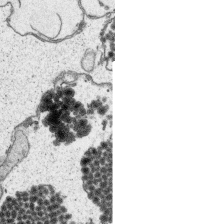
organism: Platynereis dumerilii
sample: Parapodia